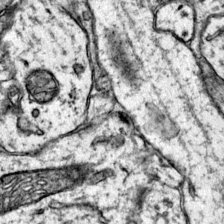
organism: Mouse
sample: Primary visual cortex